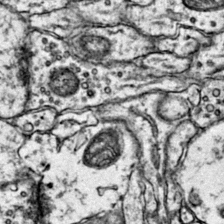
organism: Mouse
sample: Primary visual cortex